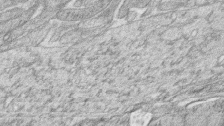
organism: Zebrafish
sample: synaptic ribbons in rod cells and cone cells